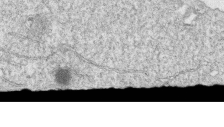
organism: Human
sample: HeLa cell HIV synapse